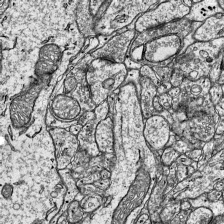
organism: Mouse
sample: Visual Cortex